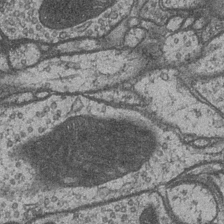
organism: Drosophila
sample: Optic medulla